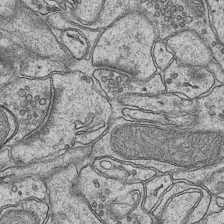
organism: Mouse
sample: CA1 Hippocampus